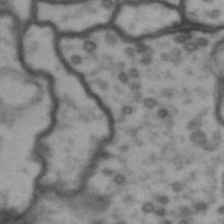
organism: Drosophila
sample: Brain